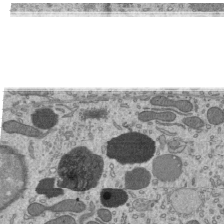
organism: Mouse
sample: Mouse epididymis efferent ductule cilia